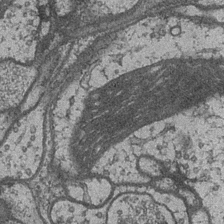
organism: Drosophila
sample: Optic medulla